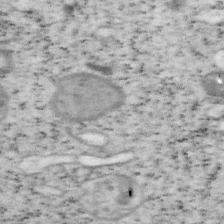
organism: Mouse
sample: OT-I killer T cells with ID8 ovarian cancer cells